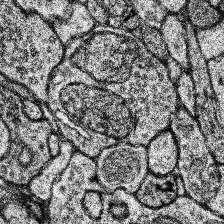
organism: Human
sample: Temporal Lobe